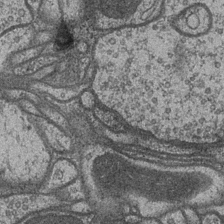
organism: Drosophila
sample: Optic medulla